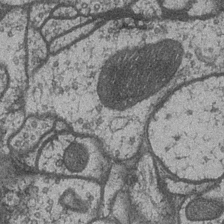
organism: Drosophila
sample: Optic medulla